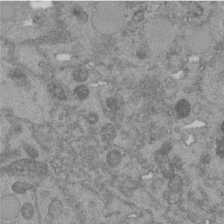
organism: C. elegans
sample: C. elegans embryo early stage